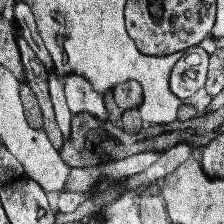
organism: Human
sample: Temporal Lobe